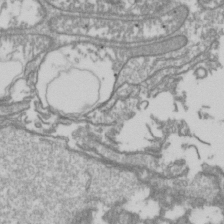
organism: Drosophila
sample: Cell division; meiosis; drosophila spermatocytes